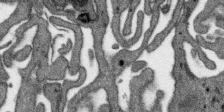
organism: Human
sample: Lung epithelial cells, uninfected (mock) control